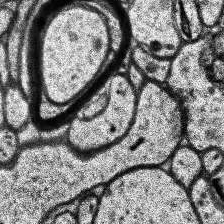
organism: Human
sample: Temporal Lobe